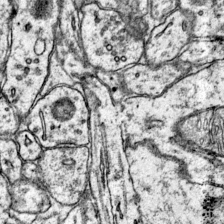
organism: Mouse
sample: Primary visual cortex